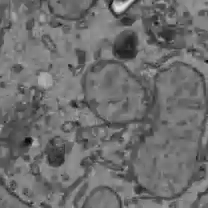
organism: C57BL Mouse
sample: Liver